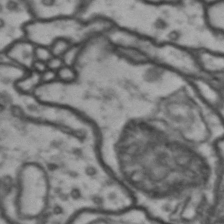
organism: Drosophila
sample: Brain